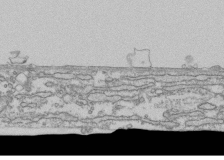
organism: Human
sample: Fibroblast cells